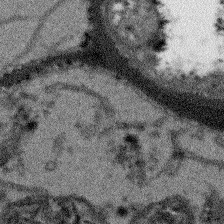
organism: Arabidopsis thaliana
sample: Root tip